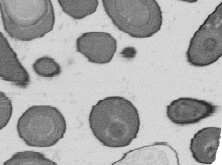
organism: B. subtilis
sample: Bacterial spore